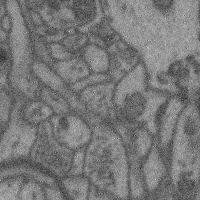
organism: Mouse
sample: Cerebral cortex